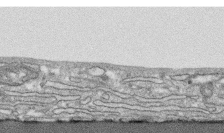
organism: Human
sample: CRL-1474